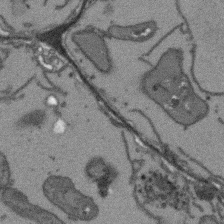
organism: Arabidopsis thaliana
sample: Root tip